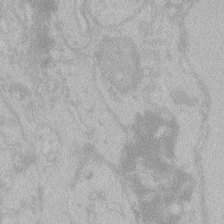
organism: Zebrafish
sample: Macrophage infected with Toxoplasma gondii